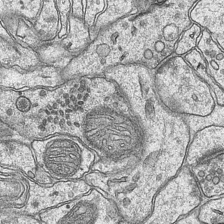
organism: Mouse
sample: CA1 Hippocampus